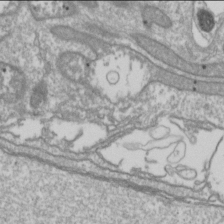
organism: Drosophila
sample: Cell division; meiosis; drosophila spermatocytes